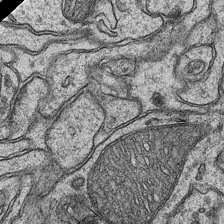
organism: Mouse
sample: CA1 Hippocampus